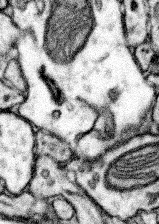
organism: Mouse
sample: Somatosensory cortex neuropil